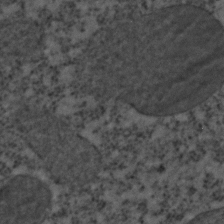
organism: C. elegans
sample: C. elegans embryo